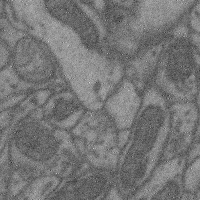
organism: Mouse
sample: Cerebral cortex